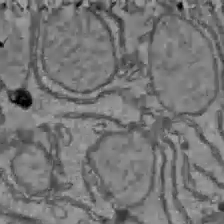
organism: C57BL Mouse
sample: Liver